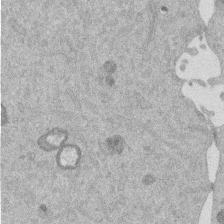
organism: Mouse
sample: Dividing mouse embryo 1 cell stage